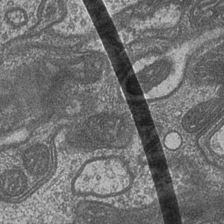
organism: Drosophila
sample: Optic medulla